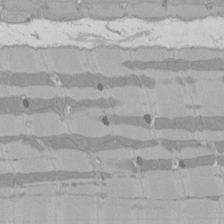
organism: Rat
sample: Left ventricle